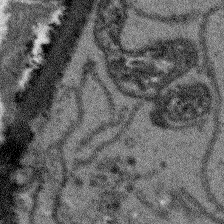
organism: Arabidopsis thaliana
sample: Root tip